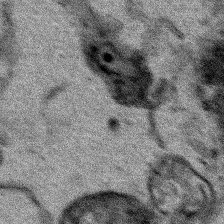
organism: Human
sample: Mitochondria in HCT116 cells